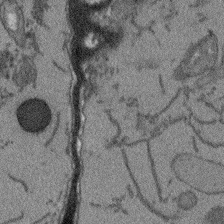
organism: Arabidopsis thaliana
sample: Root tip